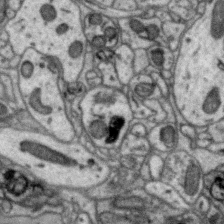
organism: Zebra finch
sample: Brain